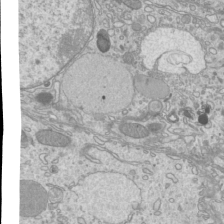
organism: Mouse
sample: Cilia; mouse epididymis